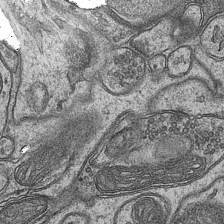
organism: Mouse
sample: CA1 Hippocampus